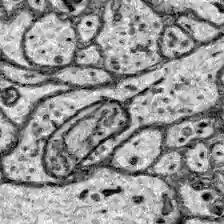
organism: Zebrafish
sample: Brain